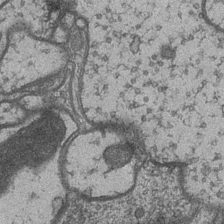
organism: Drosophila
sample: Optic medulla